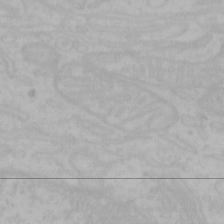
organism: Mouse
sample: Choroid plexus